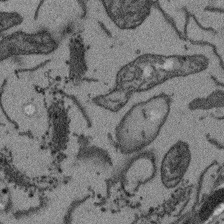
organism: Arabidopsis thaliana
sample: Root tip